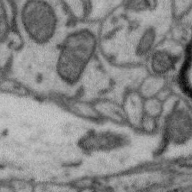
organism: Zebra finch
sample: Brain